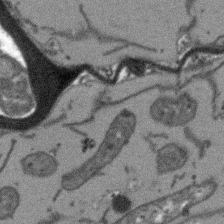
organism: Arabidopsis thaliana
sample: Root tip